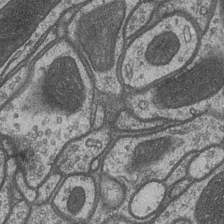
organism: Drosophila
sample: Optic medulla